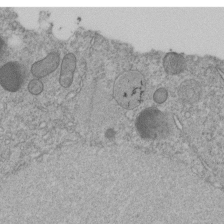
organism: C. elegans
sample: C. elegans embryo early stage